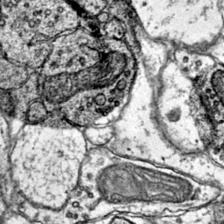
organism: Mouse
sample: Primary visual cortex